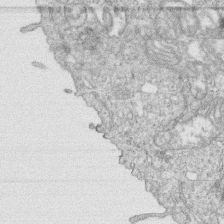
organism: Human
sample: HeLa cell HIV synapse